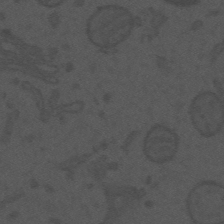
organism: Mouse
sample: Suprachiasmatic nucleus